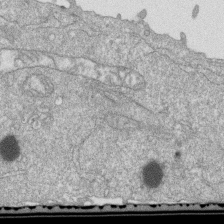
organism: Human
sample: HeLa cell HIV synapse